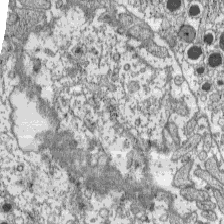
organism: C57BL Mouse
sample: Pancreatic islet